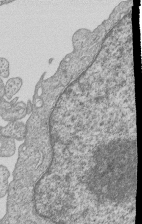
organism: Human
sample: MDA-MB-231 cells